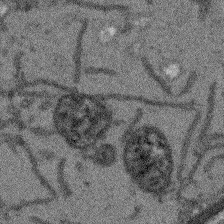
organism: Arabidopsis thaliana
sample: Root tip